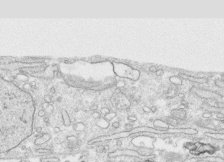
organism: Human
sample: CRL-1474